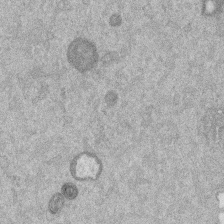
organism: Mouse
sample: Dividing mouse embryo 1 cell stage